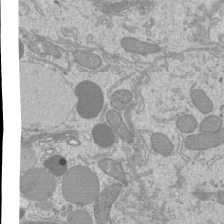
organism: Mouse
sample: Cilia; mouse epididymis